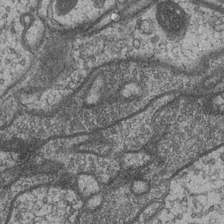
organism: Drosophila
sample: Optic medulla